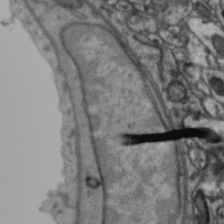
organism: Zebra finch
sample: Brain